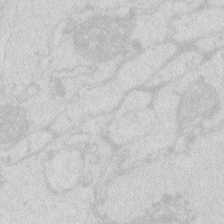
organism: Zebrafish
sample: Macrophage